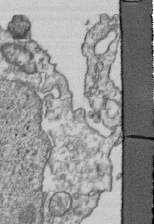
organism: Human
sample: Activated Jurkat CD4+ T cells